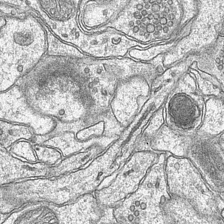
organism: Mouse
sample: CA1 Hippocampus